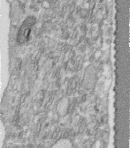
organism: Human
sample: Centriole in fibroblast cells